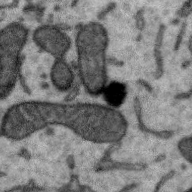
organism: Zebra finch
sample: Brain